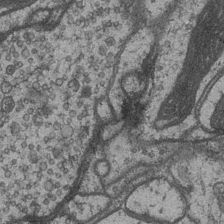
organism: Drosophila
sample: Optic medulla